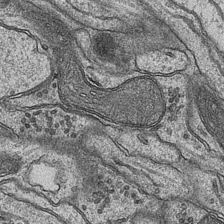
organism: Mouse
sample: CA1 Hippocampus